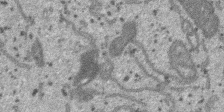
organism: Human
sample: Lung epithelial cells infected with SARS-CoV-2